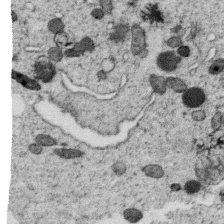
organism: C. elegans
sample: C. elegans oocyte; sperm cells